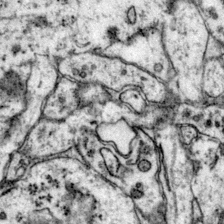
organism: Mouse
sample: Primary visual cortex